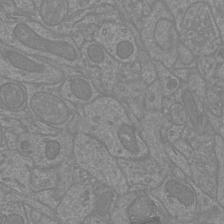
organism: Mouse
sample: Cortical neurons